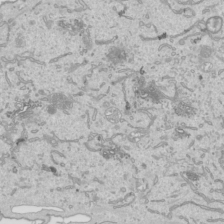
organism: Human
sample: Mitochondria in HCT116 cells